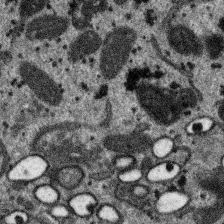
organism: Human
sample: Lung epithelial cells infected with SARS-CoV-2